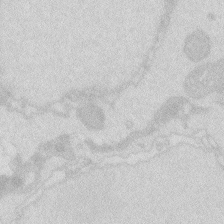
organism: Zebrafish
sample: Macrophage